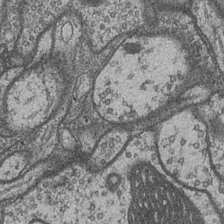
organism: Drosophila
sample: Optic medulla